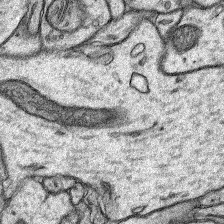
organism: Rat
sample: Hippocampus